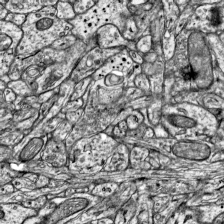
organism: Mouse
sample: Visual Cortex